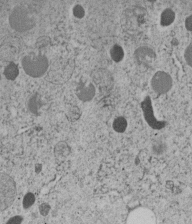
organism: C. elegans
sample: C. elegans embryo early stage